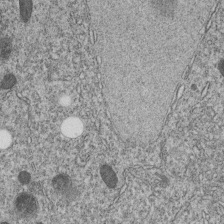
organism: C. elegans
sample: C. elegans embryo early stage